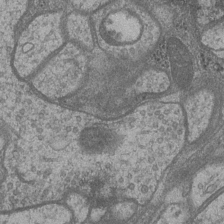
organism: Drosophila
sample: Optic medulla